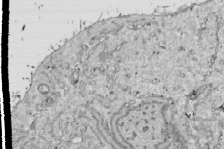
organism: Drosophila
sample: Cell division; meiosis; drosophila spermatocytes